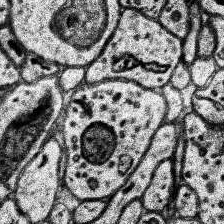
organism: Human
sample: Temporal Lobe